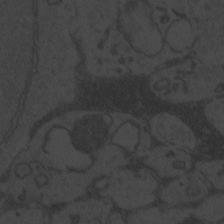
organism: Zebrafish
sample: Macrophage infected with Toxoplasma gondii